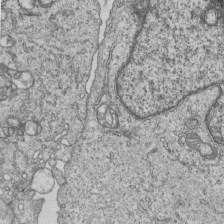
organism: Human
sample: MDA-MB-231 cells